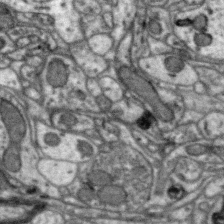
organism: Zebra finch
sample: Brain